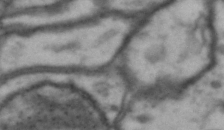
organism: Drosophila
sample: Brain